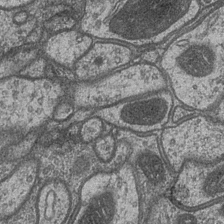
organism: Drosophila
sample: Optic medulla